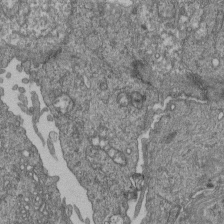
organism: Human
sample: Retinal organoid Rod and Cone cells